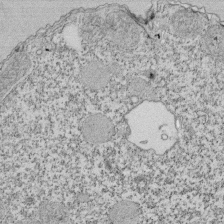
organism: Tetrahymena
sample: Cilia in tetrahymena